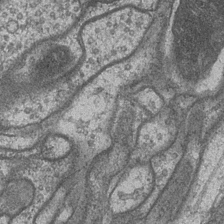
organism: Drosophila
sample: Optic medulla